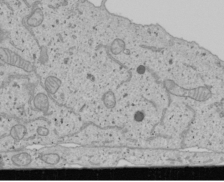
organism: Human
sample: Mitochondria in U2OS cells